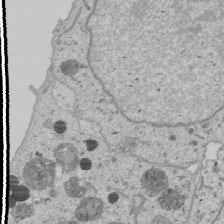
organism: Human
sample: Mitochondria in U2OS cells